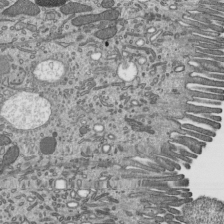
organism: Mouse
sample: Mouse epididymis efferent ductule cilia